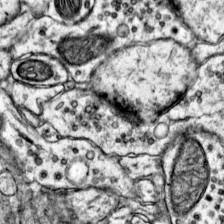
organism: Mouse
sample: Primary visual cortex